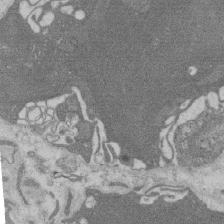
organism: Rat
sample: Salivary granule